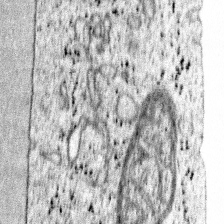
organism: Human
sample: HeLa cells